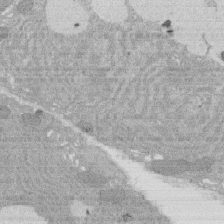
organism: Rat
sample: Salivary granule